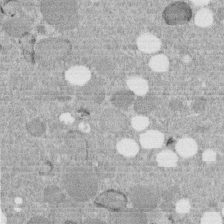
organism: C. elegans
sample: C. elegans embryo early stage